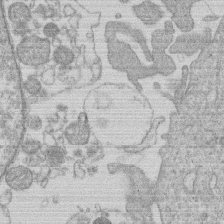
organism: Human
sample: Macrophage cells